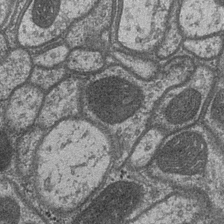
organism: Drosophila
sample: Optic medulla